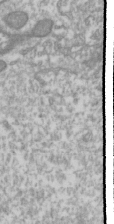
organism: Drosophila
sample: Cell division; meiosis; drosophila spermatocytes